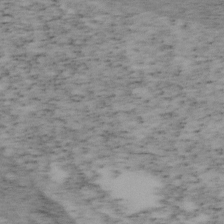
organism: Mouse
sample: OT-I killer T cells with ID8 ovarian cancer cells